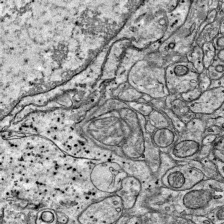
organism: Mouse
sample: Visual Cortex